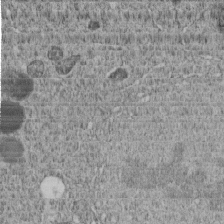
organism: C. elegans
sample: C. elegans embryo early stage